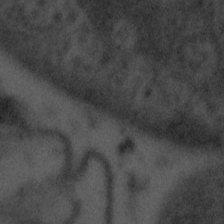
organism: Tuwongella immobilis